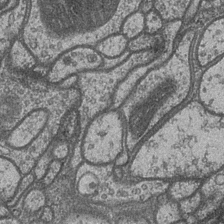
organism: Drosophila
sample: Optic medulla